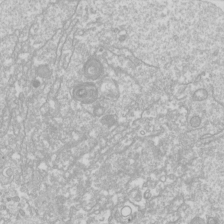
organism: Drosophila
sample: Cell division; meiosis; drosophila spermatocytes